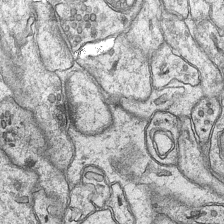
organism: Mouse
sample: CA1 Hippocampus